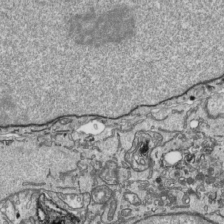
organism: Human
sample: Mitochondria in HCT116 cells